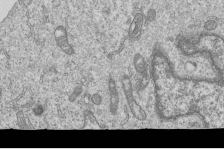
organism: Human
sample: MDA-MB-231 cells